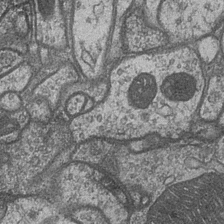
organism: Drosophila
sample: Optic medulla